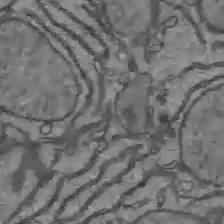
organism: C57BL Mouse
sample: Liver